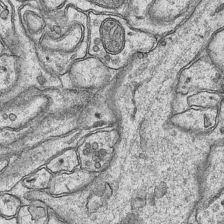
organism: Mouse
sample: CA1 Hippocampus